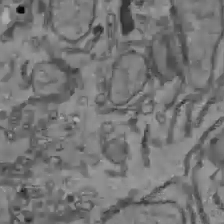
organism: C57BL Mouse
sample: Liver